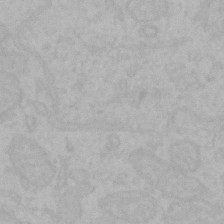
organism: Mouse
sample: Choroid plexus